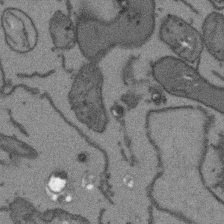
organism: Arabidopsis thaliana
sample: Root tip